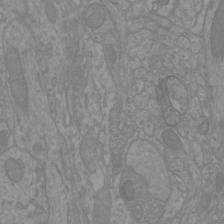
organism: Mouse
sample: Cortical neurons